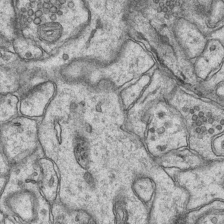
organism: Mouse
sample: CA1 Hippocampus